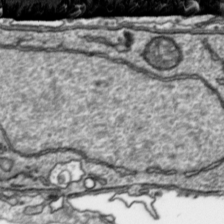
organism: Toxoplasma gondii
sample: Parasites in a vacuole inside a host cell